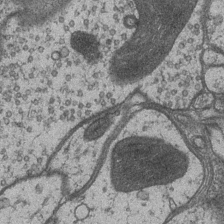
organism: Drosophila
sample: Optic medulla